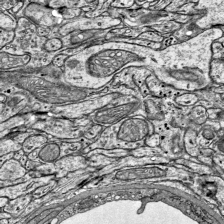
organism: Mouse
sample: Visual Cortex